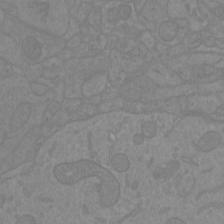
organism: Mouse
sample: Cortical neurons